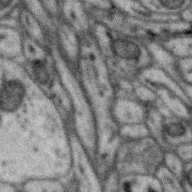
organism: Zebra finch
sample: Brain